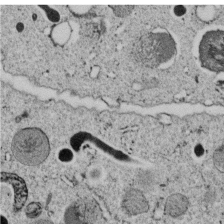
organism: C. elegans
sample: C. elegans embryo early stage